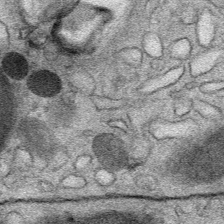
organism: Mouse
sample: Mouse Salivary gland